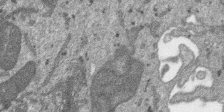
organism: Human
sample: Lung epithelial cells infected with SARS-CoV-2